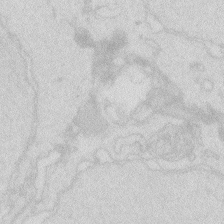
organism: Zebrafish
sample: Macrophage